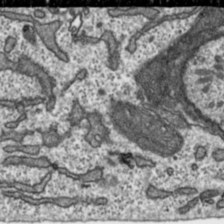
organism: Toxoplasma gondii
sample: Parasites in a vacuole inside a host cell